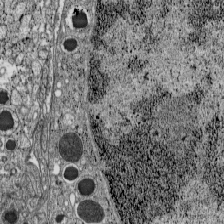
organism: C57BL Mouse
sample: Pancreatic islet